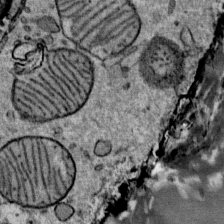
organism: Mouse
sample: Mouse Salivary gland